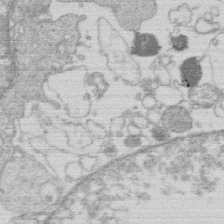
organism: Human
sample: Macrophage cells